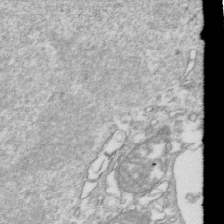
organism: Mouse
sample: Activated OT-1 CD8+ T cells